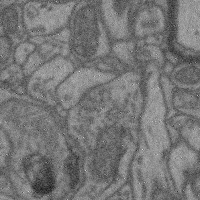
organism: Mouse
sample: Cerebral cortex